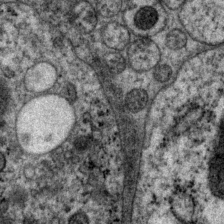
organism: P. pacificus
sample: Pharynx